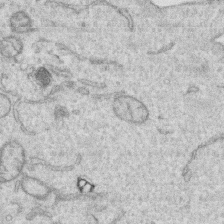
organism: Human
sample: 1205lu cells